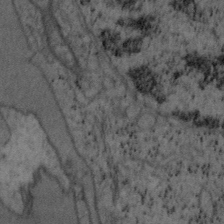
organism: Human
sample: HeLa cells